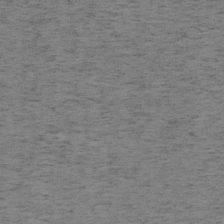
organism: Mouse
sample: OT-I killer T cells with ID8 ovarian cancer cells